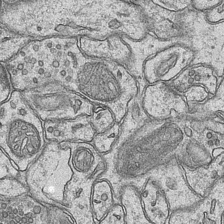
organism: Mouse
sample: CA1 Hippocampus